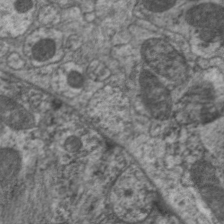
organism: C. elegans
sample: Pharynx